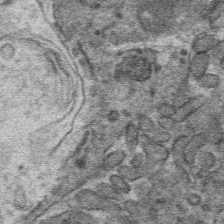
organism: Mouse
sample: Mouse hepatocytes